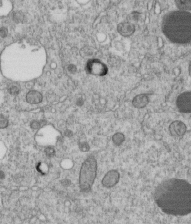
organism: C. elegans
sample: C. elegans embryo early stage